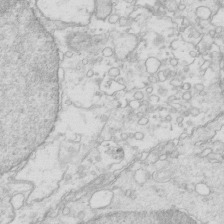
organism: Mouse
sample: Multiciliated cells